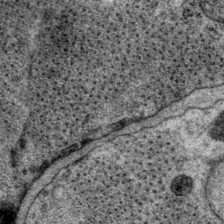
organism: P. pacificus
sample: Pharynx